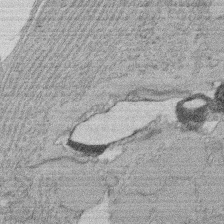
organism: Rat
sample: Salivary granule